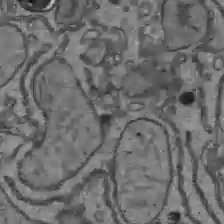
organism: C57BL Mouse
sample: Liver